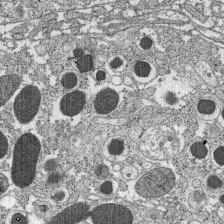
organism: C57BL Mouse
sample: Pancreatic islet